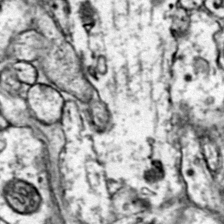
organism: Mouse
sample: Primary visual cortex